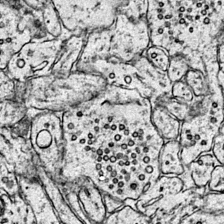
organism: Mouse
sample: Primary visual cortex